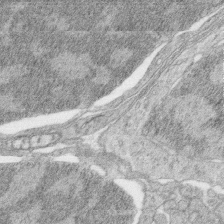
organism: Zebrafish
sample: synaptic ribbons in rod cells and cone cells